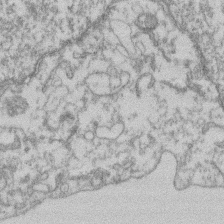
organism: Mouse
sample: T cell stromal cell synapse